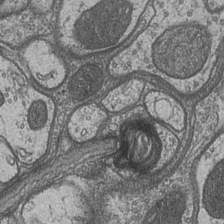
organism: Drosophila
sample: Optic medulla